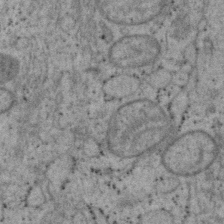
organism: Human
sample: HeLa cells